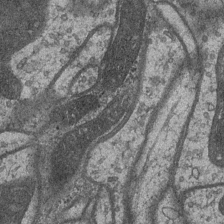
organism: Drosophila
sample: Optic medulla